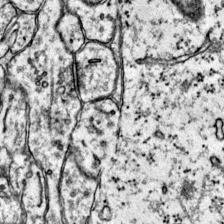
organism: Mouse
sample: Primary visual cortex